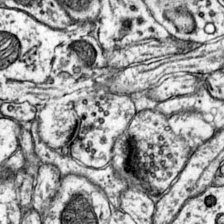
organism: Mouse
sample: Primary visual cortex